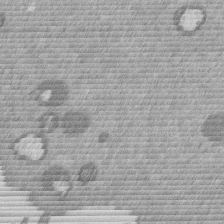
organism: Mouse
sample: Dividing mouse embryo 1 cell stage